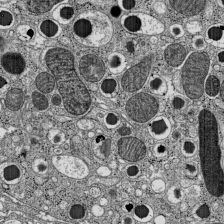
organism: C57BL Mouse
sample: Pancreatic islet